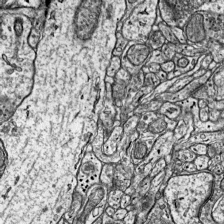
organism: Mouse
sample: Visual Cortex